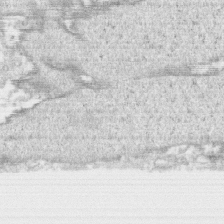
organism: Human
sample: CRL-1474